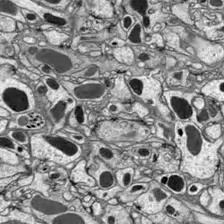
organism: Drosophila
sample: Optic lobe